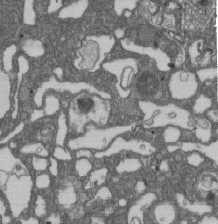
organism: Drosophila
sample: Nephrocyte